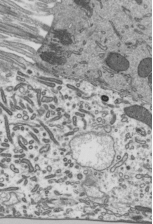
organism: Mouse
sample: Mouse epididymis efferent ductule cilia